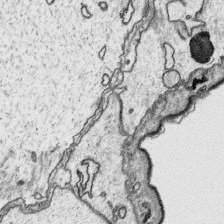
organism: Platynereis dumerilii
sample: Parapodia